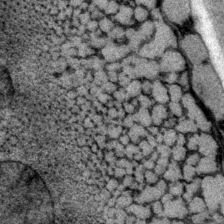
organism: P. pacificus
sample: Pharynx